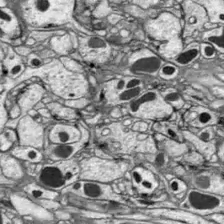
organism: Drosophila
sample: Optic lobe